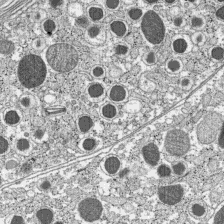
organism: C57BL Mouse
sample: Pancreatic islet